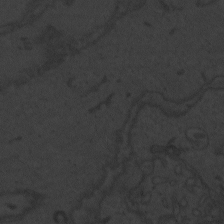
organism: Zebrafish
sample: Macrophage infected with Toxoplasma gondii